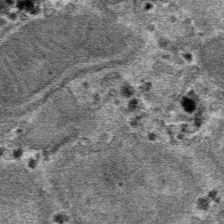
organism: Mouse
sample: Mouse hepatocytes